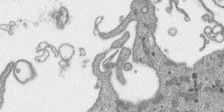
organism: Human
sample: Lung epithelial cells infected with SARS-CoV-2